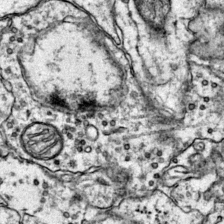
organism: Mouse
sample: Primary visual cortex